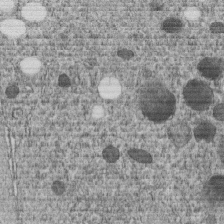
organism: C. elegans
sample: C. elegans embryo early stage